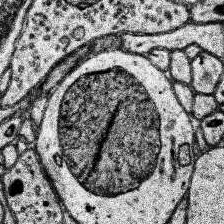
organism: Human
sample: Temporal Lobe